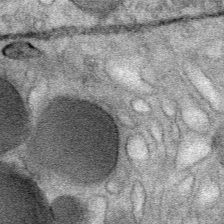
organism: Mouse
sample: Mouse Salivary gland